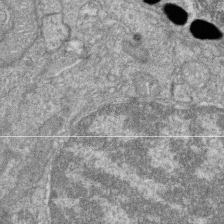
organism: Zebrafish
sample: Cilia; retinal pigment epithelium